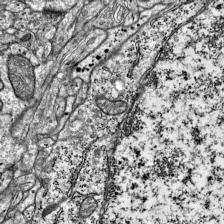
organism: Mouse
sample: Visual Cortex